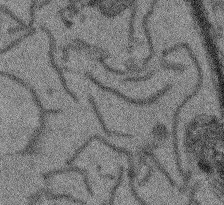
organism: Arabidopsis thaliana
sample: Root tip